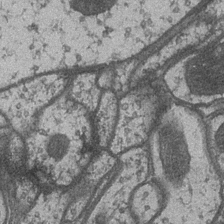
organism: Drosophila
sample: Optic medulla